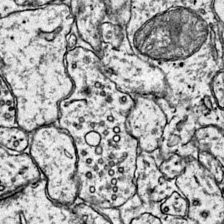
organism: Mouse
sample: Primary visual cortex